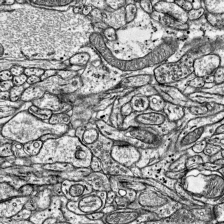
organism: Mouse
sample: Visual Cortex